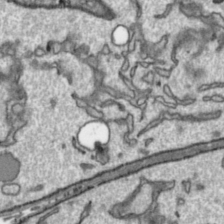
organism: Toxoplasma gondii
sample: Parasites in a vacuole inside a host cell